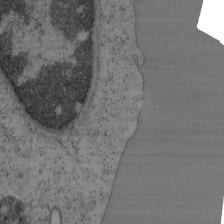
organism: Mouse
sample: OT-I killer T cells with ID8 ovarian cancer cells